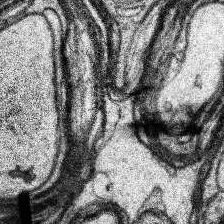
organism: Human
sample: Temporal Lobe